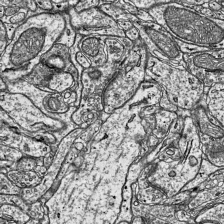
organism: Mouse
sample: Visual Cortex